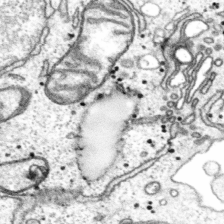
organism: Human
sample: HeLa cells